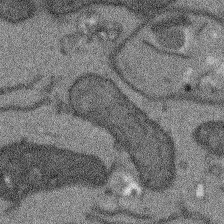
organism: Arabidopsis thaliana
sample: Root tip